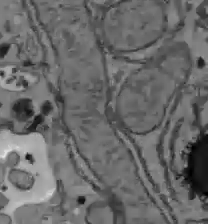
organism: C57BL Mouse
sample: Liver